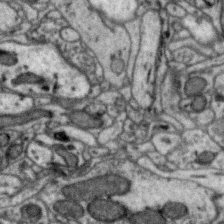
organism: Zebra finch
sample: Brain